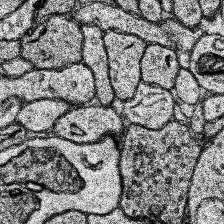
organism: Human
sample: Temporal Lobe